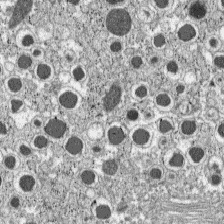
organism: C57BL Mouse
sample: Pancreatic islet